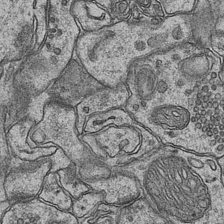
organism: Mouse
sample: CA1 Hippocampus